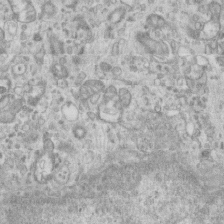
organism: Mouse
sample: Centriole in ependymal cells